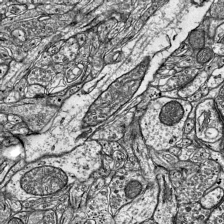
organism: Mouse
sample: Visual Cortex